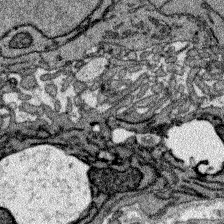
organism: Zebrafish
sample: Larval olfactory bulb